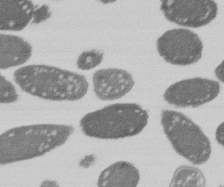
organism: E. coli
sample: Bacterial nucleoid